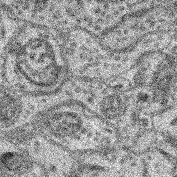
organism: Mouse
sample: Retina